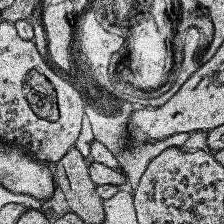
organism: Human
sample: Temporal Lobe